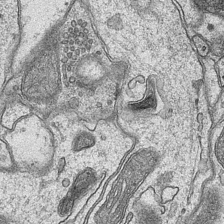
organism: Mouse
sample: CA1 Hippocampus